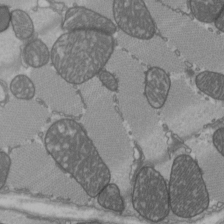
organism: C57BL Mouse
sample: Heart